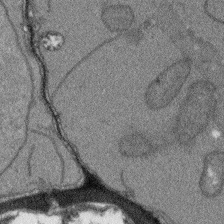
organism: Arabidopsis thaliana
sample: Root tip